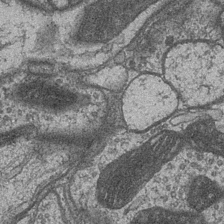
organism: Drosophila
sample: Optic medulla